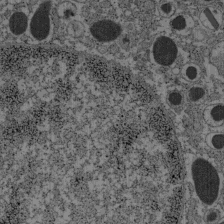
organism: C57BL Mouse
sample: Pancreatic islet